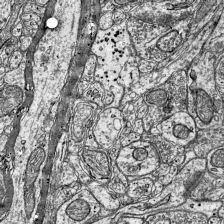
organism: Mouse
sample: Visual Cortex